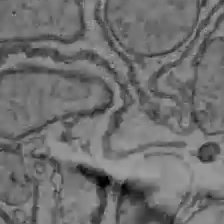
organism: C57BL Mouse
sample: Liver